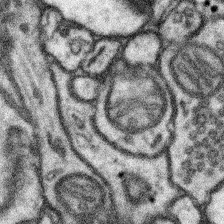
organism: Mouse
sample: Somatosensory cortex neuropil